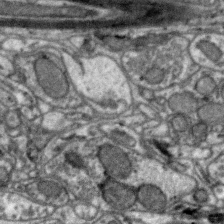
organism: Zebra finch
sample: Brain